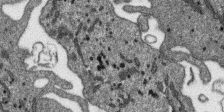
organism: Human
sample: Lung epithelial cells infected with SARS-CoV-2